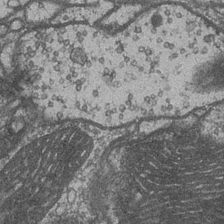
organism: Drosophila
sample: Optic medulla